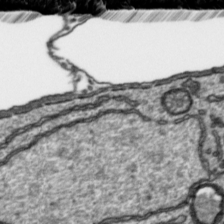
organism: Toxoplasma gondii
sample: Parasites in a vacuole inside a host cell